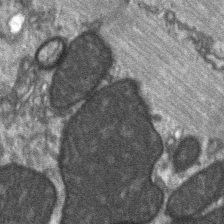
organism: C57BL Mouse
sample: Soleus